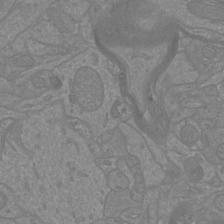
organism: Mouse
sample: Cortical neurons